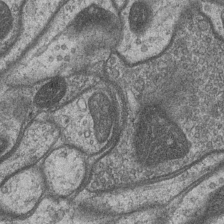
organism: Drosophila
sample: Optic medulla